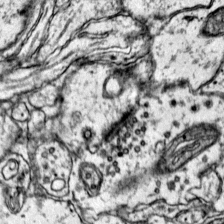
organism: Mouse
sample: Primary visual cortex